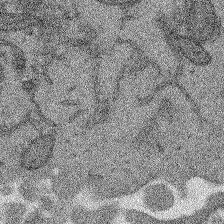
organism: Human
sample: HeLa cells